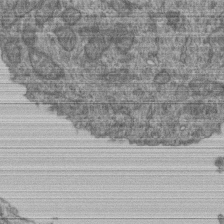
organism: Human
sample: Retinal organoid Rod and Cone cells